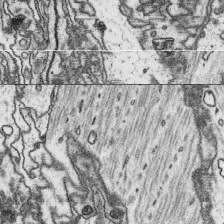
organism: Platynereis dumerilii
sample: Parapodia